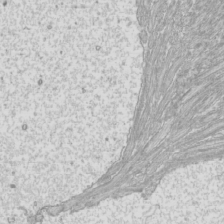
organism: Mouse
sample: Cilia; mouse epididymis